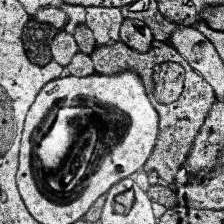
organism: Human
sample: Temporal Lobe